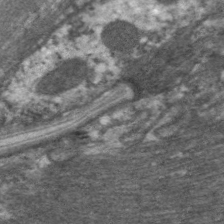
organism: C. elegans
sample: Pharynx